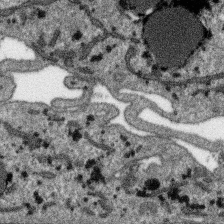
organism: Human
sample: Lung epithelial cells infected with SARS-CoV-2